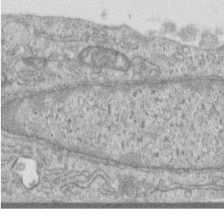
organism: Human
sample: Centriole in RPE cells